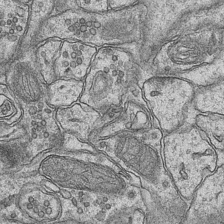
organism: Mouse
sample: CA1 Hippocampus